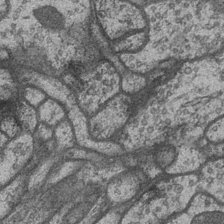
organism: Drosophila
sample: Optic medulla